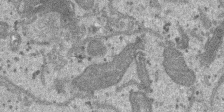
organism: Human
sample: Lung epithelial cells infected with SARS-CoV-2